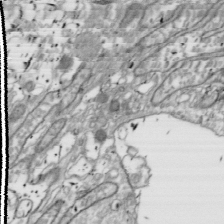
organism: Drosophila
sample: Cell division; meiosis; drosophila spermatocytes